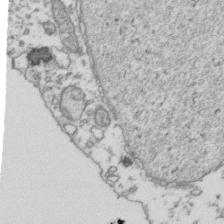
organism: Human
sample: Activated Jurkat CD4+ T cells